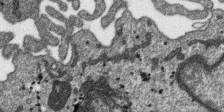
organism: Human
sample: Lung epithelial cells infected with SARS-CoV-2